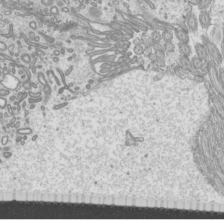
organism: Mouse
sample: Cilia; mouse epididymis